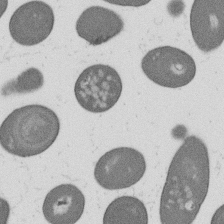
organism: B. subtilis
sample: Bacterial spore